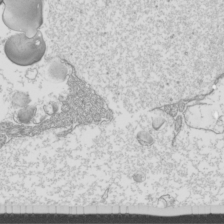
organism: Mouse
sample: Cilia; mouse epididymis